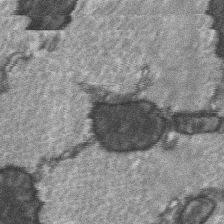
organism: C57BL Mouse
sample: Soleus